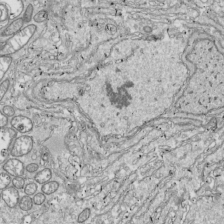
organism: Drosophila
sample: Cell division; meiosis; drosophila spermatocytes